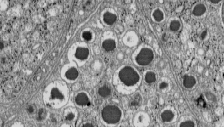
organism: C57BL Mouse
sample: Pancreatic islet